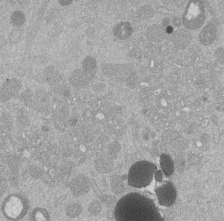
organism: Mouse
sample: Dividing mouse embryo 1 cell stage